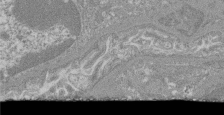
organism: Mouse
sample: Glomerulus